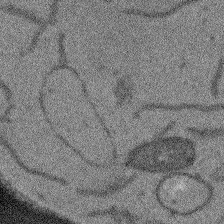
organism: Arabidopsis thaliana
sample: Root tip